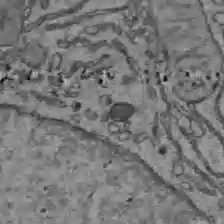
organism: C57BL Mouse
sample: Liver